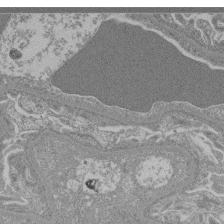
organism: Mouse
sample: Glomerulus